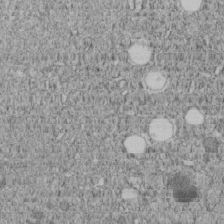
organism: C. elegans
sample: C. elegans embryo early stage